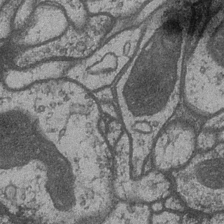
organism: Drosophila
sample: Optic medulla